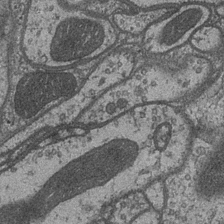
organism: Drosophila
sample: Optic medulla